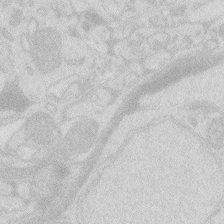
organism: Zebrafish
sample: Macrophage